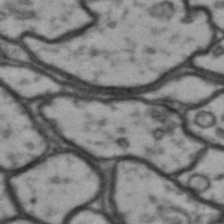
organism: Drosophila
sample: Brain